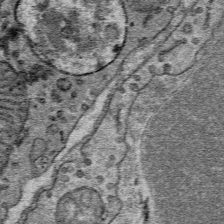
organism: Mouse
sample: Mouse Salivary gland